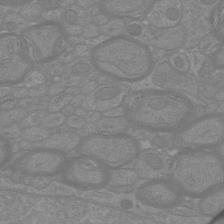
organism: Mouse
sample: Cortical neurons